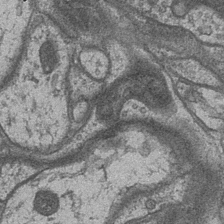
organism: Drosophila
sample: Optic medulla